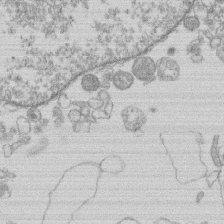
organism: Human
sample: Macrophage cells